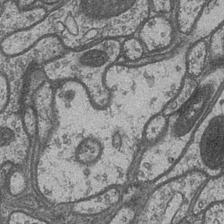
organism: Drosophila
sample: Optic medulla